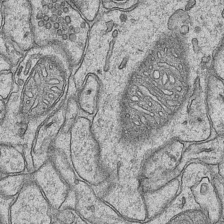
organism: Mouse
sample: CA1 Hippocampus